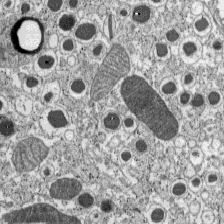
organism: C57BL Mouse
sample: Pancreatic islet